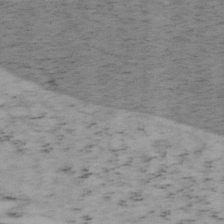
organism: Mouse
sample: OT-I killer T cells with ID8 ovarian cancer cells